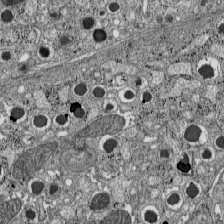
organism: C57BL Mouse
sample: Pancreatic islet